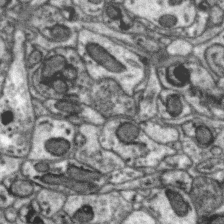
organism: Zebra finch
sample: Brain